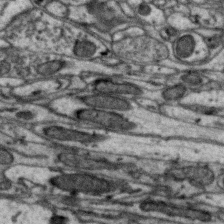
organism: Zebra finch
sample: Brain